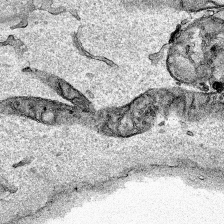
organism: Human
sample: Mitochondria in HCT116 cells